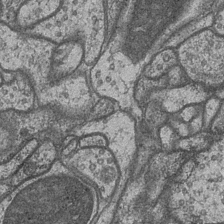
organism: Drosophila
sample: Optic medulla